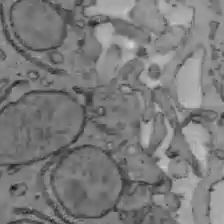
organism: C57BL Mouse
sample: Liver